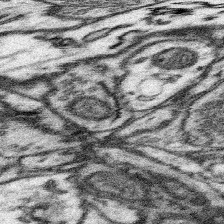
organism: Mouse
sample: Somatosensory cortex neuropil